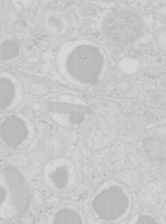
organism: Mouse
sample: Pancreas